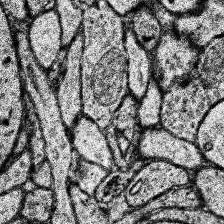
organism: Human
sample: Temporal Lobe